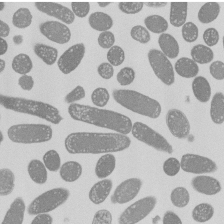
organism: E. coli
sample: Bacterial nucleoid